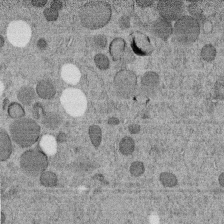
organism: C. elegans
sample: C. elegans embryo early stage